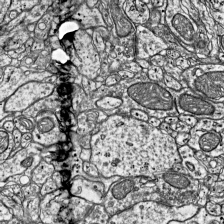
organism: Mouse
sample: Visual Cortex